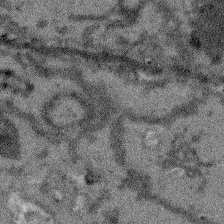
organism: Arabidopsis thaliana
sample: Root tip